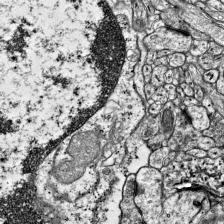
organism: Mouse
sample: Visual Cortex